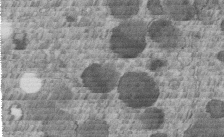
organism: C. elegans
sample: C. elegans embryo early stage